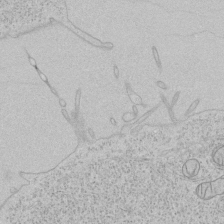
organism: Human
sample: Mitochondria in HCT116 cells